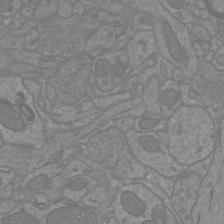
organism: Mouse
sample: Cortical neurons